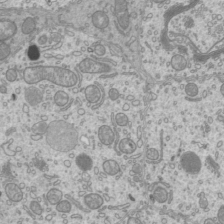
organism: Mouse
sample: Cilia; mouse epididymis